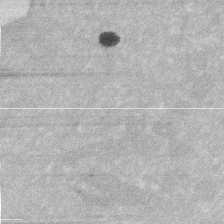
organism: Human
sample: HIV infected U937 cells